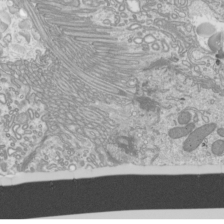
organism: Mouse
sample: Cilia; mouse epididymis